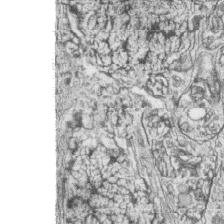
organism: Zebrafish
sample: synaptic ribbons in rod cells and cone cells